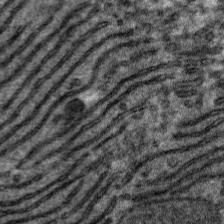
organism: Mouse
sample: Mouse hepatocytes